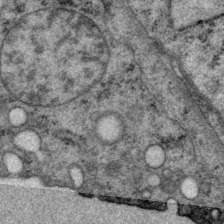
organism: P. pacificus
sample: Pharynx